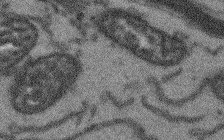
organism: Arabidopsis thaliana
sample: Root tip